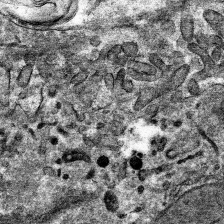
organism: Mouse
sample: Mouse hepatocytes